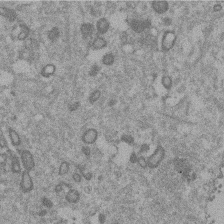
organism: Mouse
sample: Dividing mouse embryo 1 cell stage